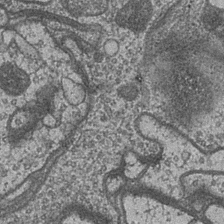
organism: Drosophila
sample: Optic medulla